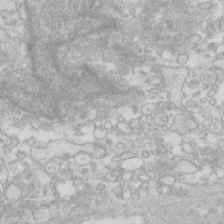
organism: Human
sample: Fibroblast cells